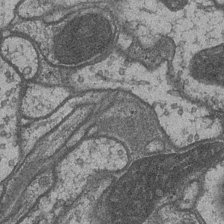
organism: Drosophila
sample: Optic medulla